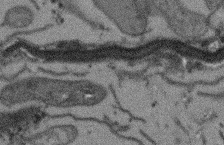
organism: Arabidopsis thaliana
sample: Root tip